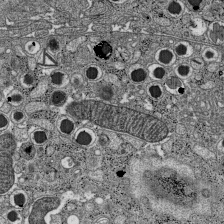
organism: C57BL Mouse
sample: Pancreatic islet